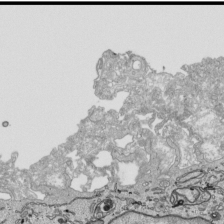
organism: Human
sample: Mitochondria in HCT116 cells